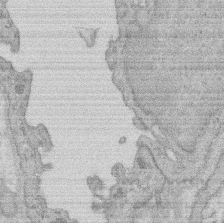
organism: Rat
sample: Salivary granule